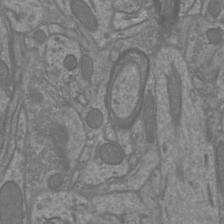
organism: Mouse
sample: Cortical neurons